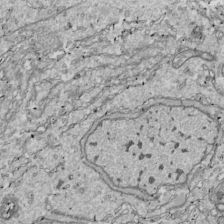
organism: Drosophila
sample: Cell division; meiosis; drosophila spermatocytes